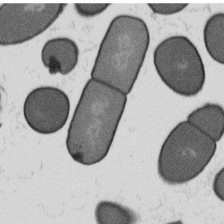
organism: B. subtilis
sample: Bacterial spore